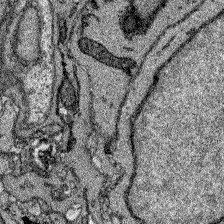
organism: Zebrafish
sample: Larval olfactory bulb